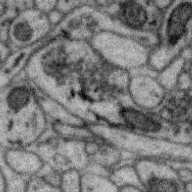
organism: Zebra finch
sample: Brain